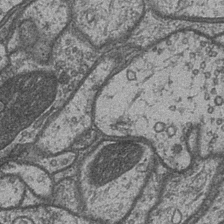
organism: Drosophila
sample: Optic medulla